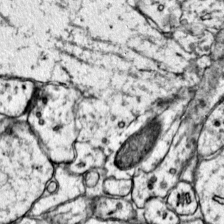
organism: Mouse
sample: Primary visual cortex